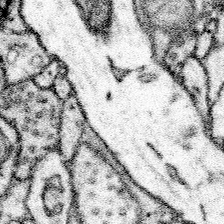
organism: Mouse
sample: Somatosensory cortex neuropil